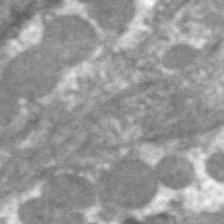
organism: C. elegans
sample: Pharynx